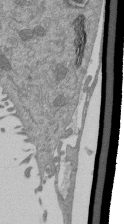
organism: Mouse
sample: ED-1 cell nuclei; centrioles